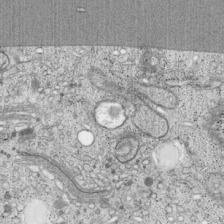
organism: African green monkey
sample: COS-7 cells